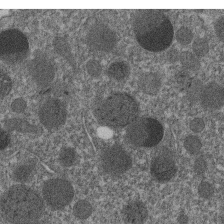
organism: C. elegans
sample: C. elegans embryo early stage